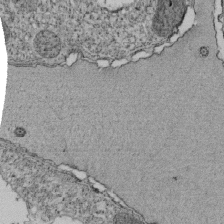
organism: Tetrahymena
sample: Cilia in tetrahymena